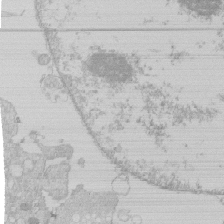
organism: Human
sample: Macrophage cells